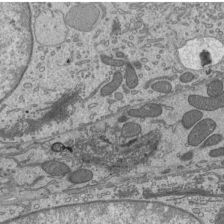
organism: Mouse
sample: Mouse epididymis efferent ductule cilia